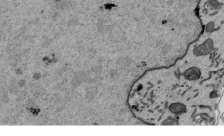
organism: Mouse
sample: ED-1 cell nuclei; centrioles